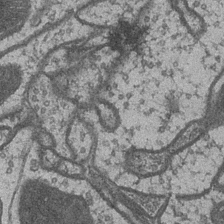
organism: Drosophila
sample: Optic medulla